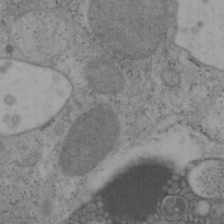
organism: Mouse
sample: OT-I killer T cells with ID8 ovarian cancer cells